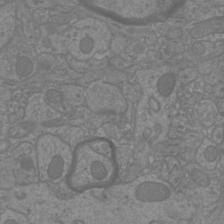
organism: Mouse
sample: Cortical neurons